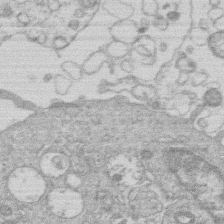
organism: Human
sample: Macrophage cells